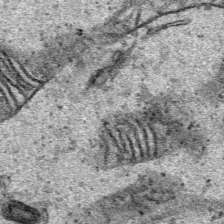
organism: Human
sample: Mitochondria in HCT116 cells